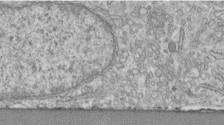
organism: Human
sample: Centriole in fibroblast cells